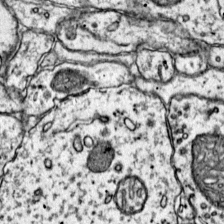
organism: Mouse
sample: Primary visual cortex